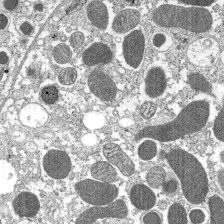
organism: C57BL Mouse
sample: Pancreatic islet